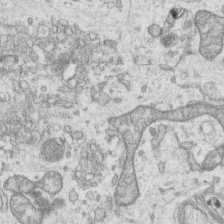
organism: Human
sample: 1205lu cells